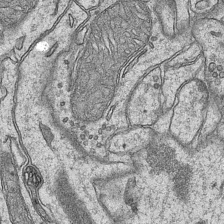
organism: Mouse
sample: CA1 Hippocampus